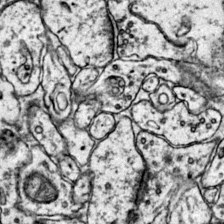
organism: Mouse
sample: Primary visual cortex